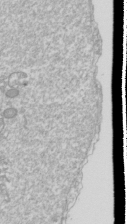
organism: Drosophila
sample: Cell division; meiosis; drosophila spermatocytes